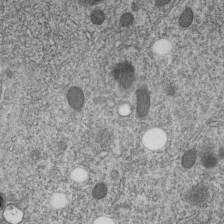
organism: C. elegans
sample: C. elegans embryo early stage